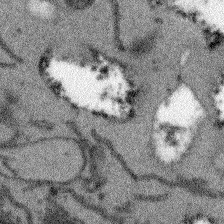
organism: Arabidopsis thaliana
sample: Root tip